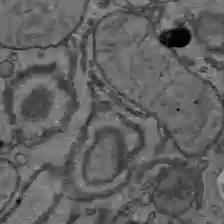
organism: C57BL Mouse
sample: Liver